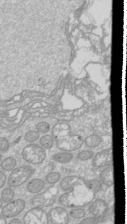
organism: Drosophila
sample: Cell division; meiosis; drosophila spermatocytes